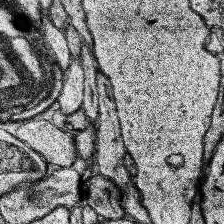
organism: Human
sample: Temporal Lobe